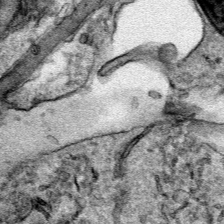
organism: Human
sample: Mitochondria in HCT116 cells